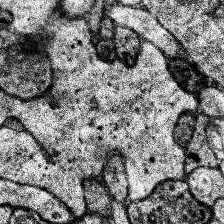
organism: Human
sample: Temporal Lobe